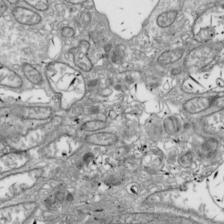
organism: Drosophila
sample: Cell division; meiosis; drosophila spermatocytes